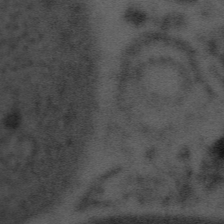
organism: Tuwongella immobilis